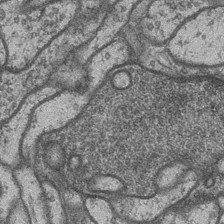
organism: Drosophila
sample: Optic medulla